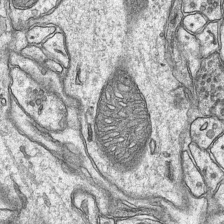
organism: Mouse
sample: CA1 Hippocampus